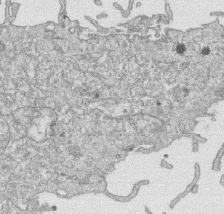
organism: Human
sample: HeLa cell HIV synapse